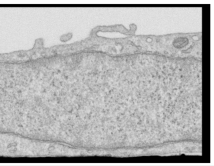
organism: Human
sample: Centriole in RPE cells